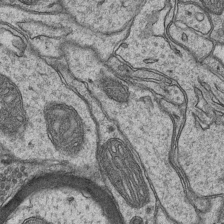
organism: Mouse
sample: CA1 Hippocampus